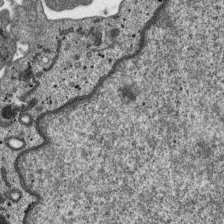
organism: Human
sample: Lung epithelial cells infected with SARS-CoV-2